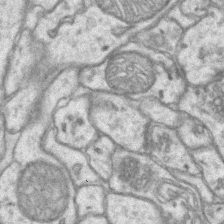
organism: Mouse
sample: CA1 Hippocampus